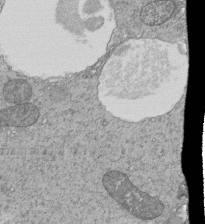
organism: Tetrahymena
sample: Cilia in tetrahymena